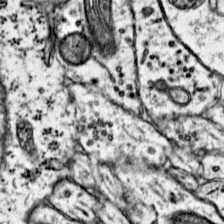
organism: Mouse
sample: Primary visual cortex